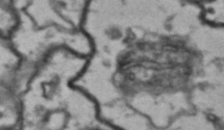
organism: Drosophila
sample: Brain